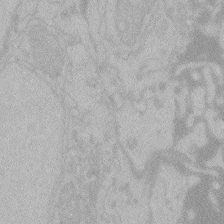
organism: Zebrafish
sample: Macrophage infected with Toxoplasma gondii